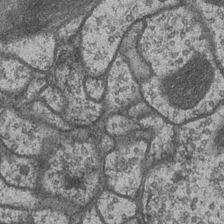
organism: Drosophila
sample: Optic medulla